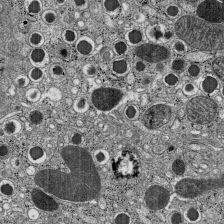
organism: C57BL Mouse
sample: Pancreatic islet